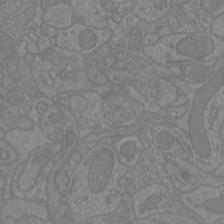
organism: Mouse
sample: Cortical neurons